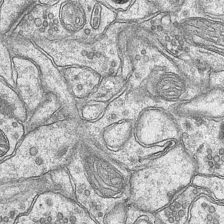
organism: Mouse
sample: CA1 Hippocampus